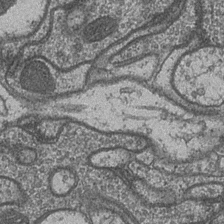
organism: Drosophila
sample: Optic medulla